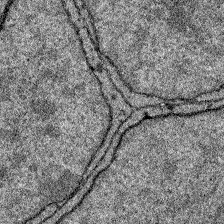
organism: Zebrafish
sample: Larval olfactory bulb